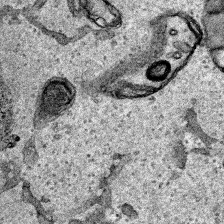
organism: Human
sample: Mitochondria in HCT116 cells